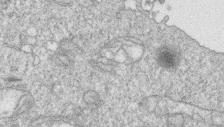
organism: Human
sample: HeLa cell HIV synapse